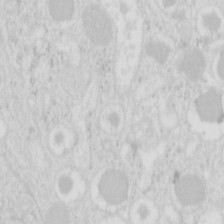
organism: Mouse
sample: Pancreas